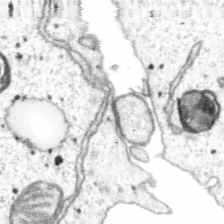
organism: Human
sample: HeLa cells